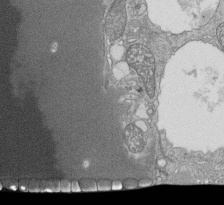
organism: Tetrahymena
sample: Cilia in tetrahymena